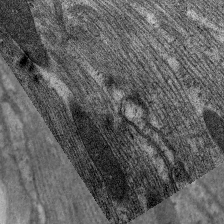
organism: C. elegans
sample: Pharynx